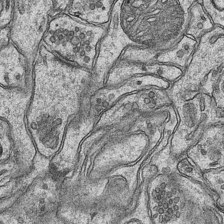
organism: Mouse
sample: CA1 Hippocampus